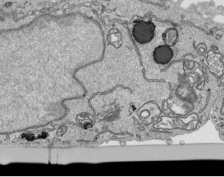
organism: Human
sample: Mitochondria in HCT116 cells